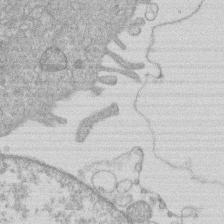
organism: Human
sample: Macrophage cells